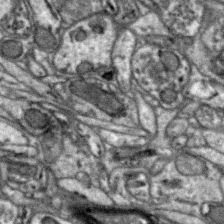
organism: Zebra finch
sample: Brain